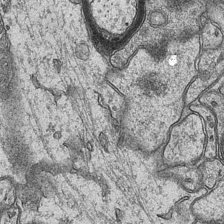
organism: Mouse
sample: CA1 Hippocampus